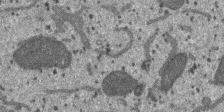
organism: Human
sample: Lung epithelial cells infected with SARS-CoV-2